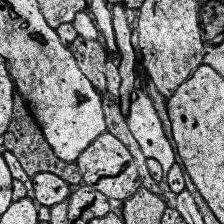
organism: Human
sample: Temporal Lobe